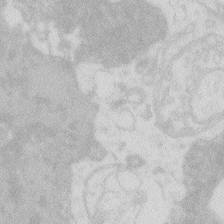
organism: Zebrafish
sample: Macrophage